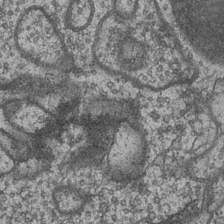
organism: Drosophila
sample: Optic medulla